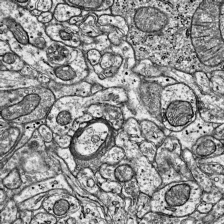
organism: Mouse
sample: Visual Cortex